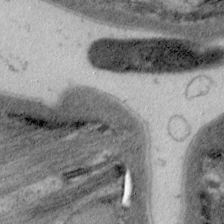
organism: C. elegans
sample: Pharynx